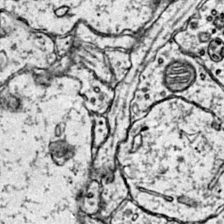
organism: Mouse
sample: Primary visual cortex